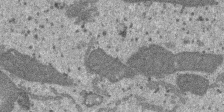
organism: Human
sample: Lung epithelial cells infected with SARS-CoV-2